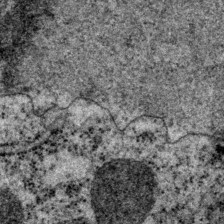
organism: P. pacificus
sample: Pharynx